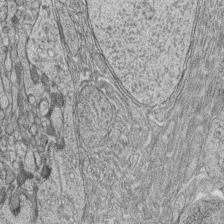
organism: Zebrafish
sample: synaptic ribbons in rod cells and cone cells